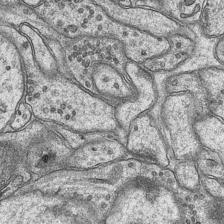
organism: Mouse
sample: CA1 Hippocampus